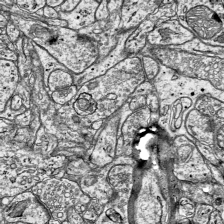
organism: Mouse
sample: Visual Cortex